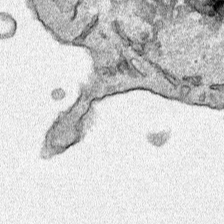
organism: Human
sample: Mitochondria in HCT116 cells